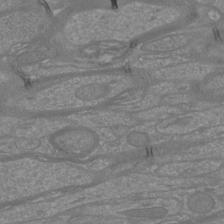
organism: Mouse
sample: Cortical neurons